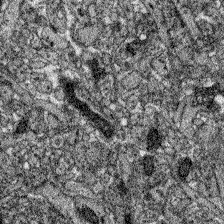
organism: Zebrafish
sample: Larval olfactory bulb